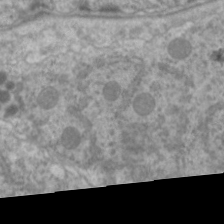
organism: C. elegans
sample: Pharynx